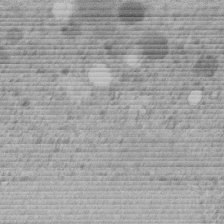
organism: C. elegans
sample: C. elegans embryo early stage